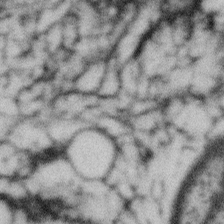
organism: Gemmata obscuriglobus